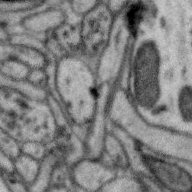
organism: Zebra finch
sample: Brain